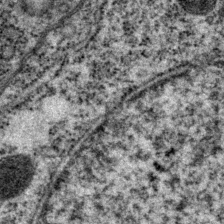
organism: P. pacificus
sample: Pharynx